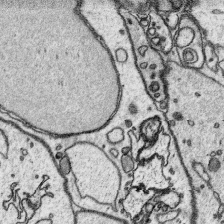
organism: Platynereis dumerilii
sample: Parapodia